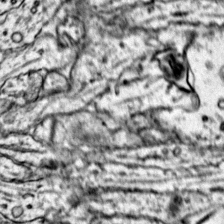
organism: Mouse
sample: Primary visual cortex